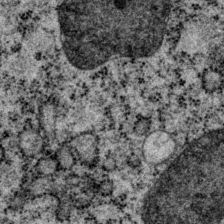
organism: P. pacificus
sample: Pharynx